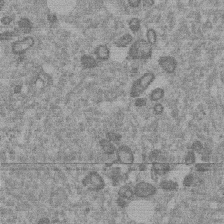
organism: Mouse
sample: Dividing mouse embryo 1 cell stage